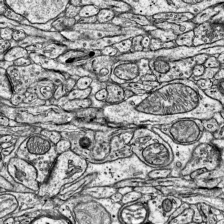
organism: Mouse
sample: Visual Cortex